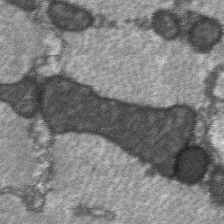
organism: C57BL Mouse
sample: Soleus